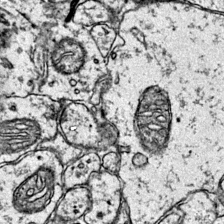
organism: Mouse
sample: Primary visual cortex